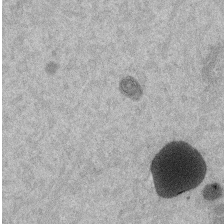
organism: Mouse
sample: Dividing mouse embryo 1 cell stage